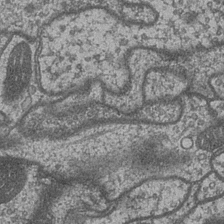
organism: Drosophila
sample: Optic medulla